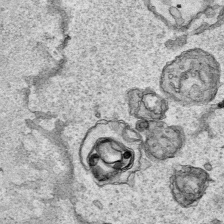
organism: Human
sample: Mitochondria in HCT116 cells